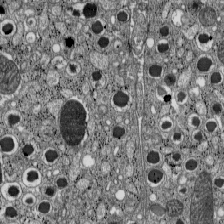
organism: C57BL Mouse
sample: Pancreatic islet